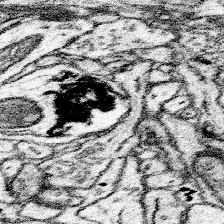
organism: Mouse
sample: Somatosensory cortex neuropil